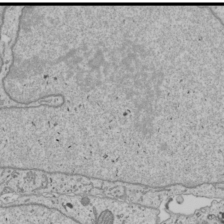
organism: Human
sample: Mitochondria in U2OS cells